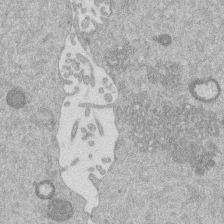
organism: Mouse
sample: Dividing mouse embryo 1 cell stage